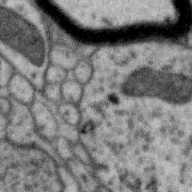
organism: Zebra finch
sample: Brain